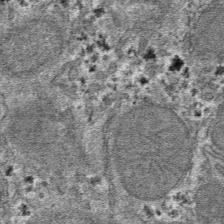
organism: Mouse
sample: Mouse hepatocytes